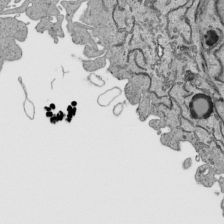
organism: Human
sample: Mitochondria in HCT116 cells